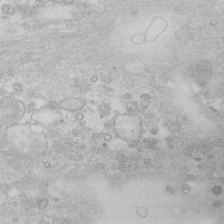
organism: Human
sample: Fibroblast cells